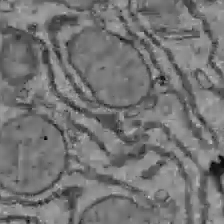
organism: C57BL Mouse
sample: Liver